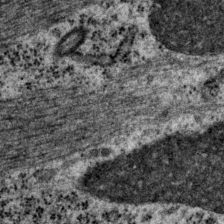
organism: P. pacificus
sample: Pharynx